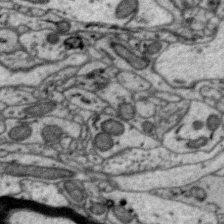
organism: Zebra finch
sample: Brain